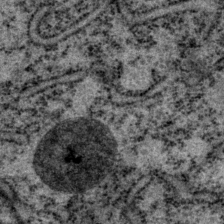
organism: P. pacificus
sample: Pharynx